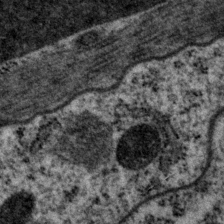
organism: P. pacificus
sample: Pharynx